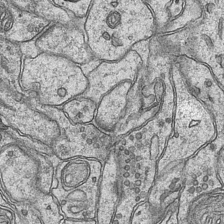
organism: Mouse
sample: CA1 Hippocampus